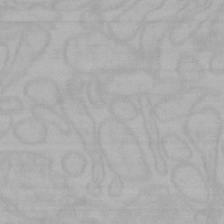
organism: Mouse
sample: Choroid plexus